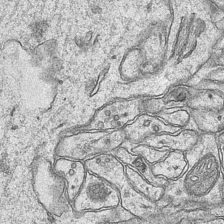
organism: Mouse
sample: CA1 Hippocampus